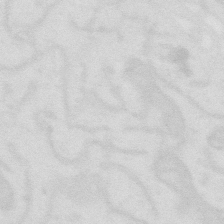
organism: Human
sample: HeLa cells